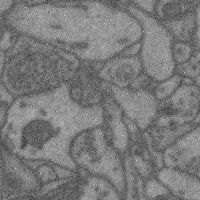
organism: Mouse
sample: Cerebral cortex